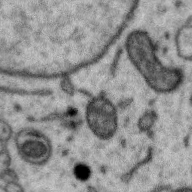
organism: Zebra finch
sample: Brain